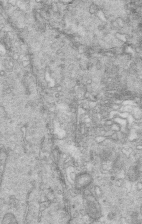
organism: Mouse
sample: Multiciliated cells